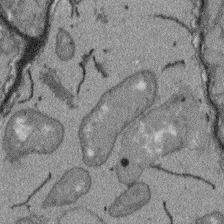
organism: Arabidopsis thaliana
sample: Root tip